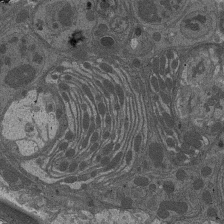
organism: Drosophila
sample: Antenna